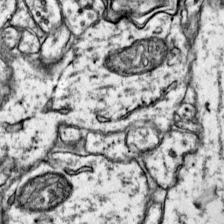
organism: Mouse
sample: Primary visual cortex